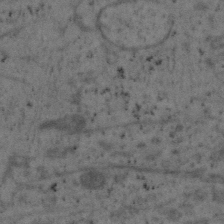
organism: Human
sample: HeLa cells